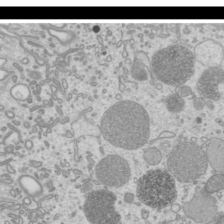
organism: Mouse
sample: Cilia; mouse epididymis